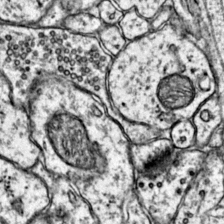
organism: Mouse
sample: Primary visual cortex